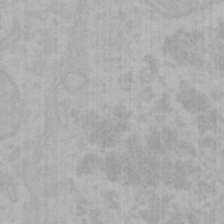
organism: Mouse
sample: Choroid plexus